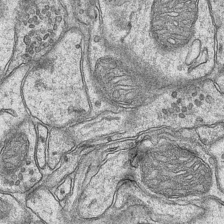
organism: Mouse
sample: CA1 Hippocampus